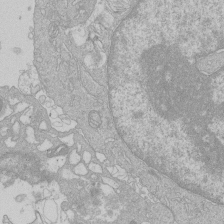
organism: Human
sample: Macrophage cells